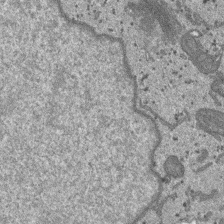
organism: Human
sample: Lung epithelial cells infected with SARS-CoV-2